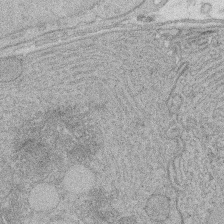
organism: Rat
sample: Salivary granule